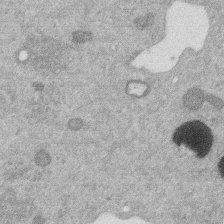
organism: Mouse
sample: Dividing mouse embryo 1 cell stage